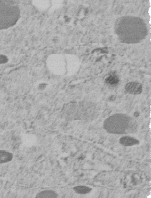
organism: C. elegans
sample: C. elegans embryo early stage